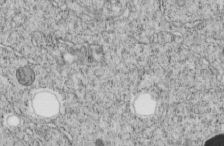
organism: C. elegans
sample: C. elegans embryo early stage